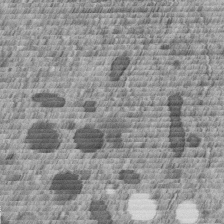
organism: C. elegans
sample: C. elegans embryo early stage